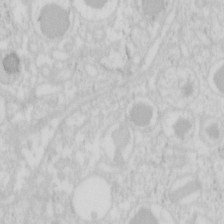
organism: Mouse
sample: Pancreas